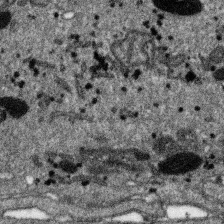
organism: Human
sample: Lung epithelial cells infected with SARS-CoV-2